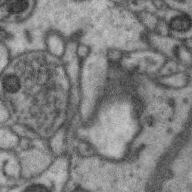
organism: Zebra finch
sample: Brain